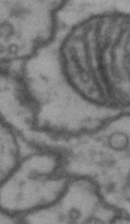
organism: Drosophila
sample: Brain